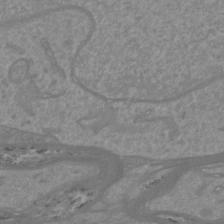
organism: Mouse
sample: Cortical neurons